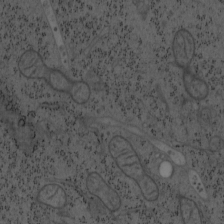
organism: Mouse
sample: OT-I killer T cells with ID8 ovarian cancer cells